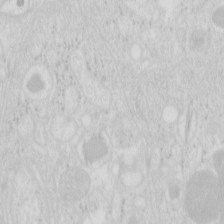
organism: Mouse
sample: Pancreas